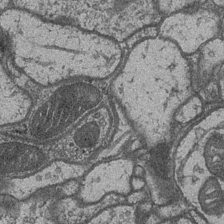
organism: Drosophila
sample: Optic medulla